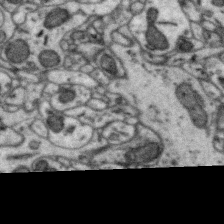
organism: Zebra finch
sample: Brain